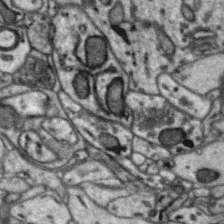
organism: Zebra finch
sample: Brain